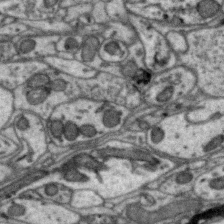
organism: Zebra finch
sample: Brain